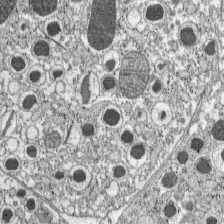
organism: C57BL Mouse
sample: Pancreatic islet